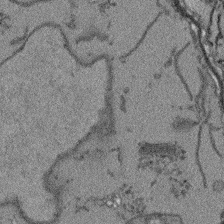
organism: Arabidopsis thaliana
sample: Root tip